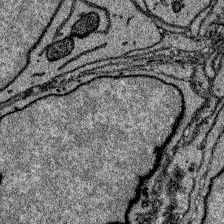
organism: Zebrafish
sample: Larval olfactory bulb